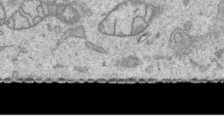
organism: Human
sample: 1205lu cells